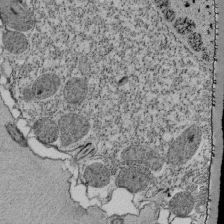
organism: Tetrahymena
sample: Cilia in tetrahymena